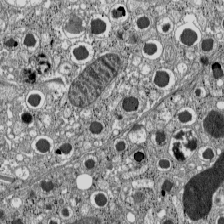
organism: C57BL Mouse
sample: Pancreatic islet